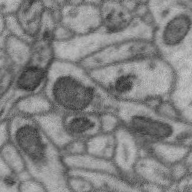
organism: Zebra finch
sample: Brain